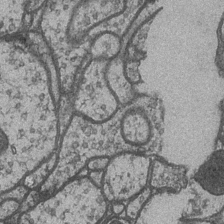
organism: Drosophila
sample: Optic medulla